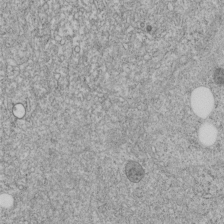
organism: C. elegans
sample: C. elegans embryo early stage